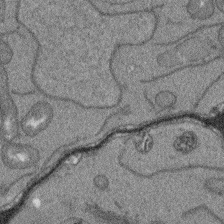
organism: Arabidopsis thaliana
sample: Root tip